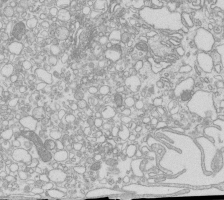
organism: Mouse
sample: Macrophages